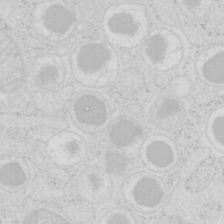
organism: Mouse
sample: Pancreas